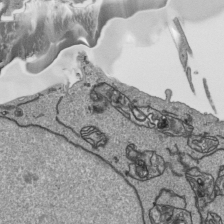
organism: Human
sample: Mitochondria in HCT116 cells